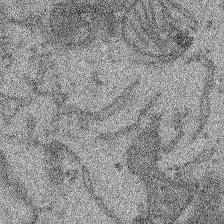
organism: Human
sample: HeLa cells